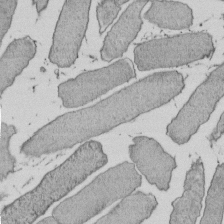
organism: E. coli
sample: Bacterial nucleoid